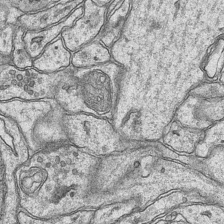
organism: Mouse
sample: CA1 Hippocampus